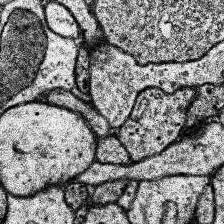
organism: Human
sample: Temporal Lobe